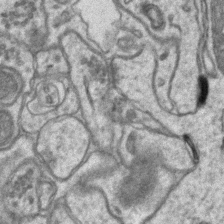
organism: Mouse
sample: CA1 Hippocampus